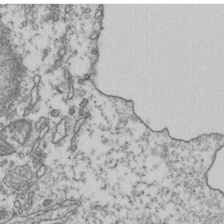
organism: Human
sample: Activated Jurkat CD4+ T cells